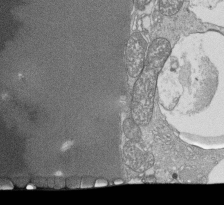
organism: Tetrahymena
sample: Cilia in tetrahymena